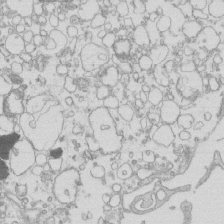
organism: Mouse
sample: Macrophages